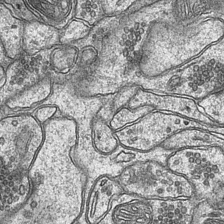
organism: Mouse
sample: CA1 Hippocampus